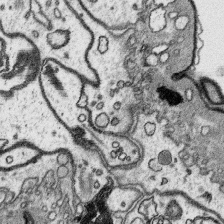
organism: Platynereis dumerilii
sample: Parapodia